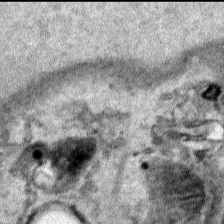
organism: Human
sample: Mitochondria in HCT116 cells